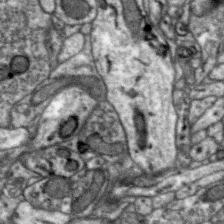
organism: Zebra finch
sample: Brain